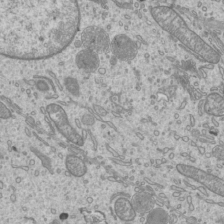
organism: Mouse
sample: Cilia; mouse epididymis